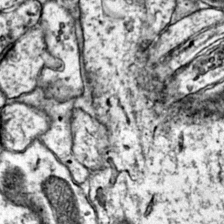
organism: Mouse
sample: Primary visual cortex